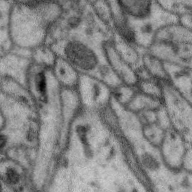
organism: Zebra finch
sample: Brain